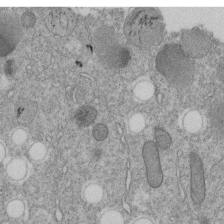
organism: C. elegans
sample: C. elegans embryo early stage